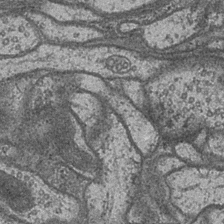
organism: Drosophila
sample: Optic medulla